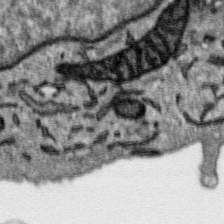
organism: Human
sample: HeLa cells